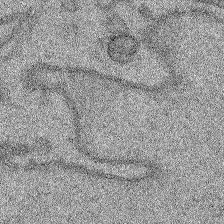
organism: Human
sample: HeLa cells